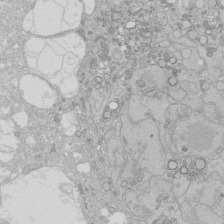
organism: Human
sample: Caco-2 cells